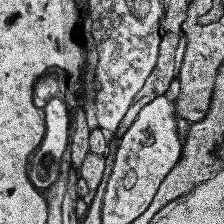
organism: Human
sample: Temporal Lobe